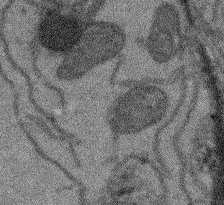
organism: Arabidopsis thaliana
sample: Root tip